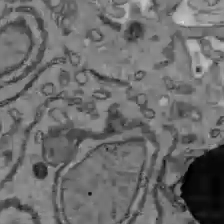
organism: C57BL Mouse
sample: Liver